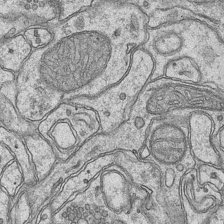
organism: Mouse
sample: CA1 Hippocampus